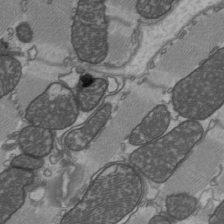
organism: C57BL Mouse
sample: Heart